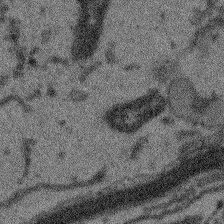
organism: Arabidopsis thaliana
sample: Root tip